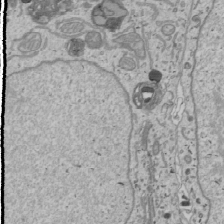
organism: Human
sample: Mitochondria in U2OS cells